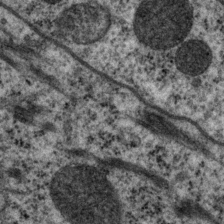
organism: P. pacificus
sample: Pharynx